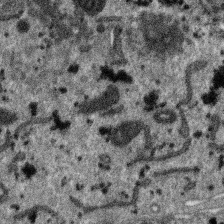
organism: Human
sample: Lung epithelial cells infected with SARS-CoV-2